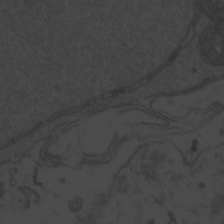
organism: Zebrafish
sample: Macrophage infected with Toxoplasma gondii